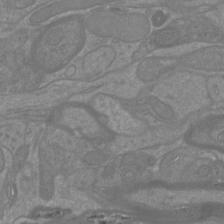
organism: Mouse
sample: Cortical neurons